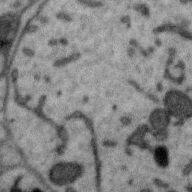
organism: Zebra finch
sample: Brain